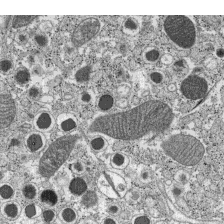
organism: C57BL Mouse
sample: Pancreatic islet